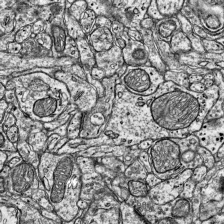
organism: Mouse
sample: Visual Cortex